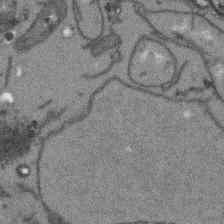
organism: Arabidopsis thaliana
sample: Root tip